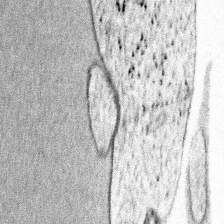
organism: Human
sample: HeLa cells